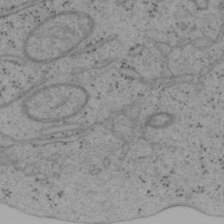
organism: Human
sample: HeLa cells